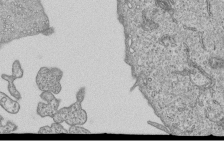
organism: Human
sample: MDA-MB-231 cells